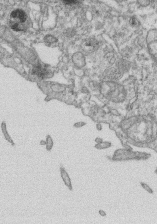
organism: Human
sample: HeLa cell HIV synapse